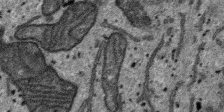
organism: Human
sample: Lung epithelial cells, uninfected (mock) control